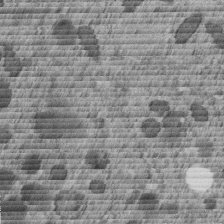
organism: C. elegans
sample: C. elegans embryo early stage